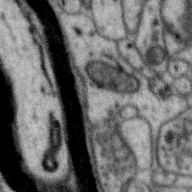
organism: Zebra finch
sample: Brain